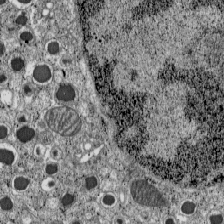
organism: C57BL Mouse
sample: Pancreatic islet